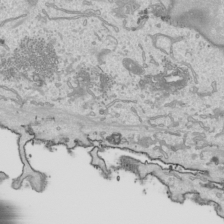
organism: Human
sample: Mitochondria in HCT116 cells